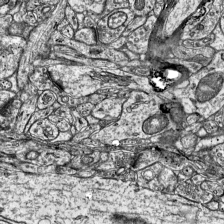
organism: Mouse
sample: Visual Cortex